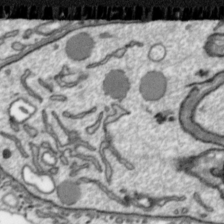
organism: Toxoplasma gondii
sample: Parasites in a vacuole inside a host cell